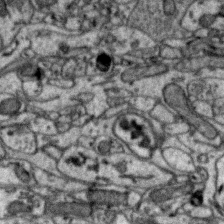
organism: Zebra finch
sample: Brain